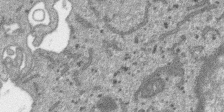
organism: Human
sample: Lung epithelial cells infected with SARS-CoV-2